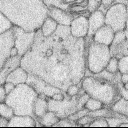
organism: Rabbit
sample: Retina